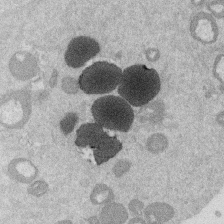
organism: Mouse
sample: Dividing mouse embryo 1 cell stage